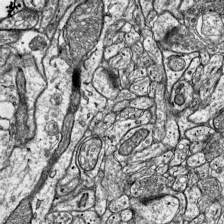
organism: Mouse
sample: Visual Cortex